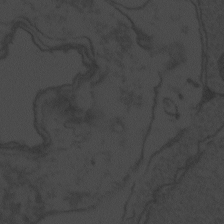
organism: Zebrafish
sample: Macrophage infected with Toxoplasma gondii